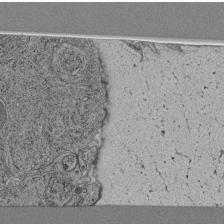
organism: C. elegans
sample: C. elegans pharynx